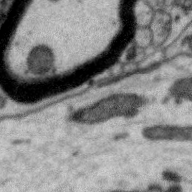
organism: Zebra finch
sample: Brain